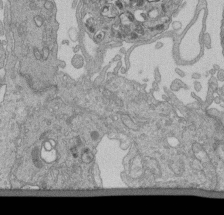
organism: Human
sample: Retinal organoid Rod and Cone cells